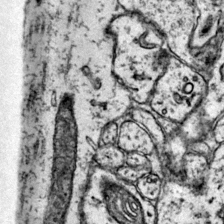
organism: Mouse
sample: Primary visual cortex